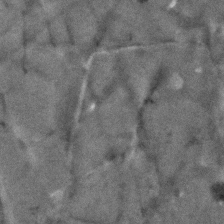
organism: Human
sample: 1205lu cells